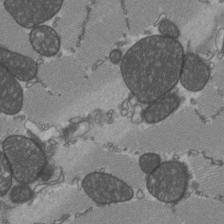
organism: C57BL Mouse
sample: Heart